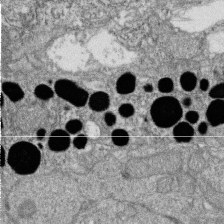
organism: Zebrafish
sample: Cilia; retinal pigment epithelium